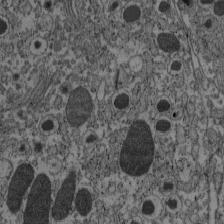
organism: C57BL Mouse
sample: Pancreatic islet